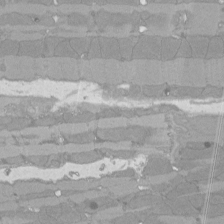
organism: Rat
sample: Left ventricle